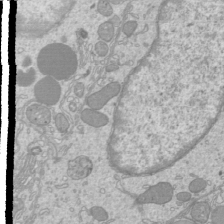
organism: Mouse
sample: Cilia; mouse epididymis